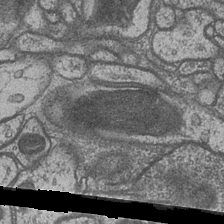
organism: Drosophila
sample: Optic medulla